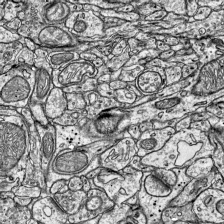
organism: Mouse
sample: Visual Cortex